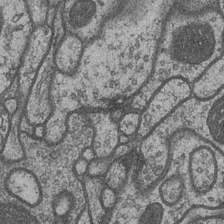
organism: Drosophila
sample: Optic medulla